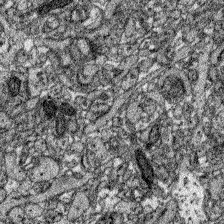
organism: Zebrafish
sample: Larval olfactory bulb